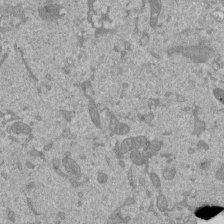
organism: Mouse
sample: ED-1 cell nuclei; centrioles